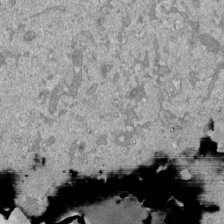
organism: Mouse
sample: ED-1 cell nuclei; centrioles